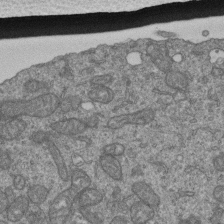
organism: Human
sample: Retinal organoid Rod and Cone cells